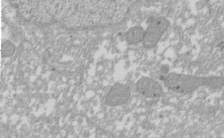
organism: Xenopus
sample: Cilia; centrioles in frog embryo cells